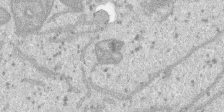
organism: Human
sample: Lung epithelial cells infected with SARS-CoV-2